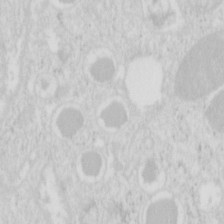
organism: Mouse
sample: Pancreas